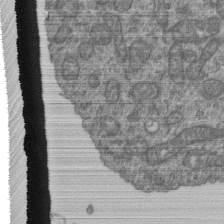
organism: Human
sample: Retinal organoid Rod and Cone cells